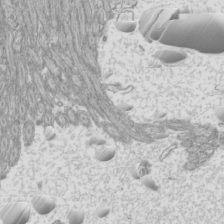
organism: Mouse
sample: Cilia; mouse epididymis